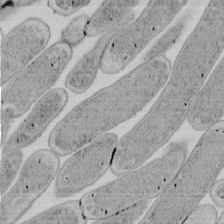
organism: E. coli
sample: Bacterial nucleoid